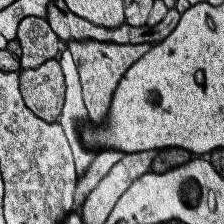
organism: Human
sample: Temporal Lobe